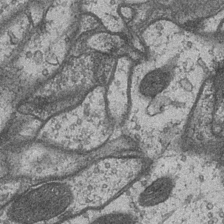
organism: Drosophila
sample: Optic medulla